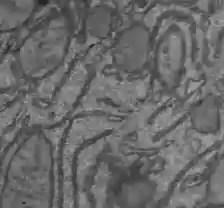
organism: C57BL Mouse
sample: Liver